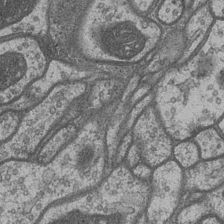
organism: Drosophila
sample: Optic medulla